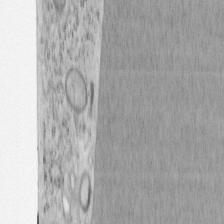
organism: Human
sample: HeLa cells